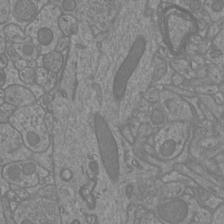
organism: Mouse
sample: Cortical neurons